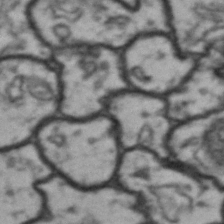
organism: Drosophila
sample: Brain